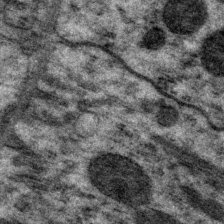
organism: P. pacificus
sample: Pharynx